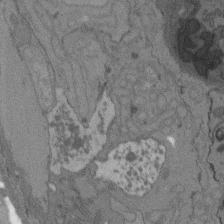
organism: C. elegans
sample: AFD neurons C. elegans